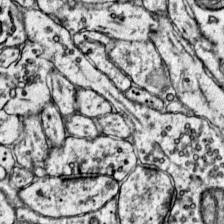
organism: Mouse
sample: Primary visual cortex